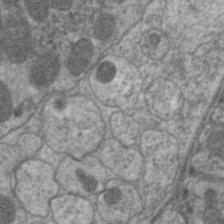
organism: C. elegans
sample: Pharynx